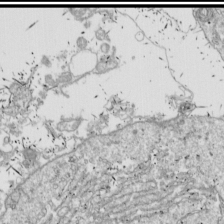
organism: Drosophila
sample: Cell division; meiosis; drosophila spermatocytes